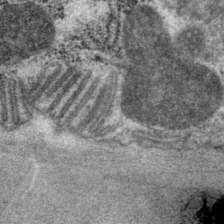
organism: P. pacificus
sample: Pharynx